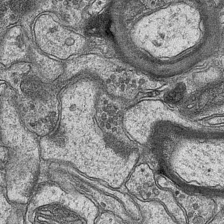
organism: Mouse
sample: CA1 Hippocampus